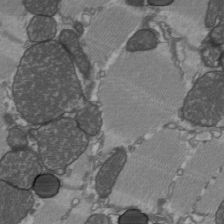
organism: C57BL Mouse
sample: Heart